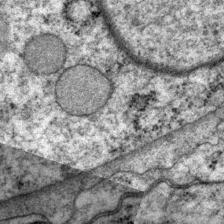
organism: P. pacificus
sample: Pharynx